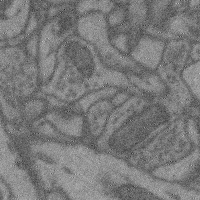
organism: Mouse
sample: Cerebral cortex